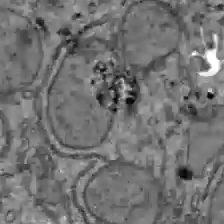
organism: C57BL Mouse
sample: Liver